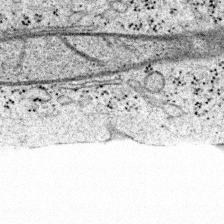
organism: Human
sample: HeLa cells